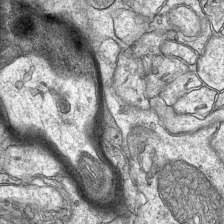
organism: Mouse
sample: CA1 Hippocampus